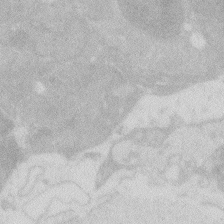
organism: Zebrafish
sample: Macrophage